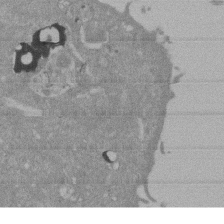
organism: Mouse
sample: ED-1 cell nuclei; centrioles